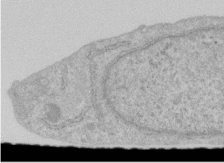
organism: Human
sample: Centriole in RPE cells